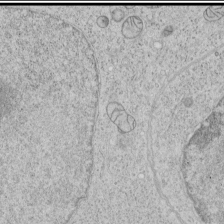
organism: Human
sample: Mitochondria in HCT116 cells